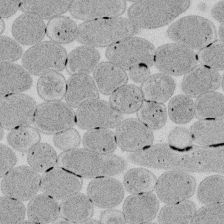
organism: E. coli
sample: Bacterial nucleoid